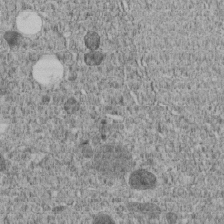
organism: C. elegans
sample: C. elegans embryo early stage